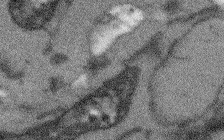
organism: Arabidopsis thaliana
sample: Root tip